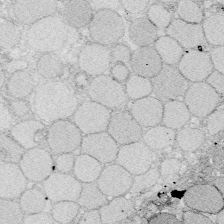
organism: Zebrafish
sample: Whole-Brain